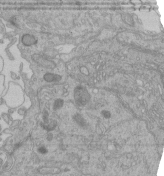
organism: Human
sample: Retinal organoid Rod and Cone cells